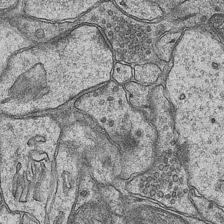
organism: Mouse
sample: CA1 Hippocampus